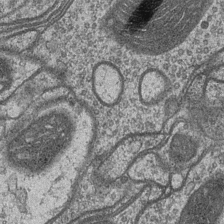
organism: Drosophila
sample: Optic medulla